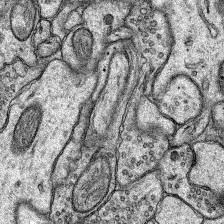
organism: Rat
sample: Hippocampus